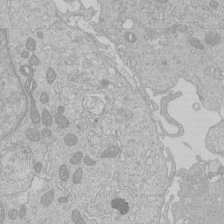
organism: Human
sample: Macrophage cells